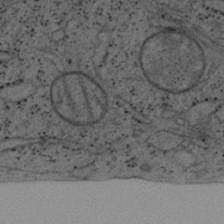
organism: Human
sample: HeLa cells